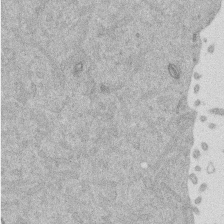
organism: Mouse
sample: Dividing mouse embryo 1 cell stage